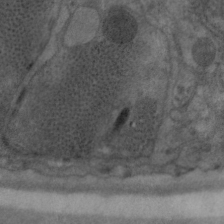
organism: C. elegans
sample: Pharynx